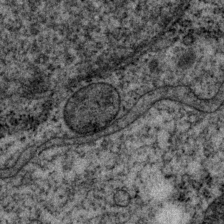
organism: P. pacificus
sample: Pharynx